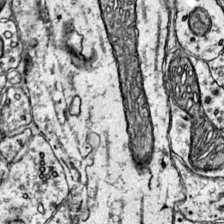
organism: Mouse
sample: Primary visual cortex